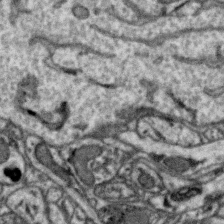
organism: Zebra finch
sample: Brain